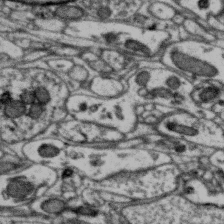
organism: Zebra finch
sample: Brain